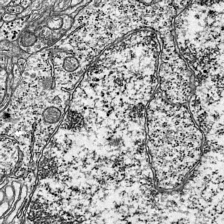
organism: Mouse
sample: Visual Cortex